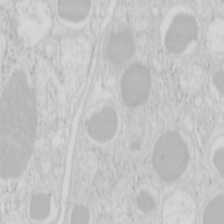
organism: Mouse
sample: Pancreas